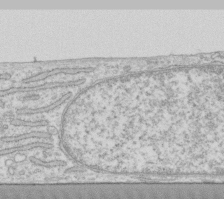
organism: Human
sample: Fibroblast cells